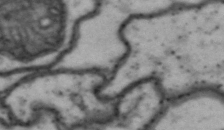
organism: Drosophila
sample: Brain